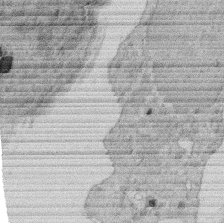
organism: Rat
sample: Salivary granule